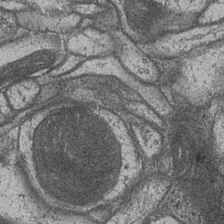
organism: Drosophila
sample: Optic medulla